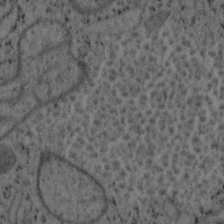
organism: Human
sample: HeLa cells